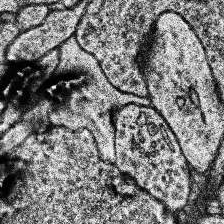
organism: Human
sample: Temporal Lobe